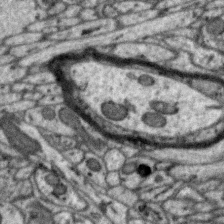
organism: Zebra finch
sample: Brain